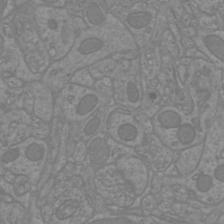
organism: Mouse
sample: Cortical neurons